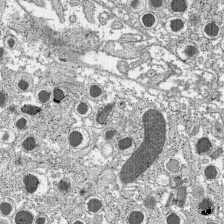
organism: C57BL Mouse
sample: Pancreatic islet